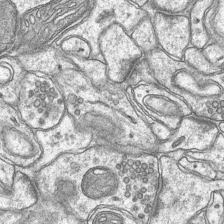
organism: Mouse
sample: CA1 Hippocampus